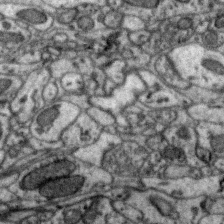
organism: Zebra finch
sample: Brain